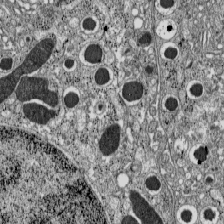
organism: C57BL Mouse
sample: Pancreatic islet